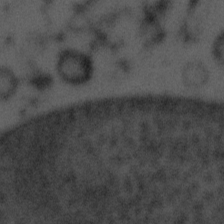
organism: Tuwongella immobilis